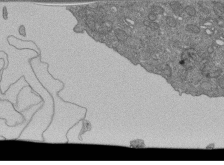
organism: Human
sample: Retinal organoid Rod and Cone cells